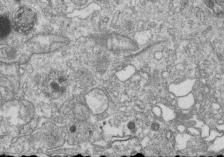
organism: Human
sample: HeLa cell HIV synapse